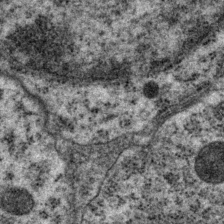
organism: P. pacificus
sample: Pharynx